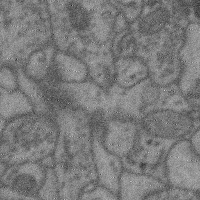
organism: Mouse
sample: Cerebral cortex